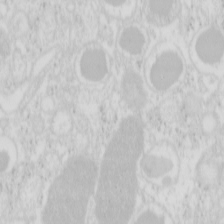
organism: Mouse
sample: Pancreas